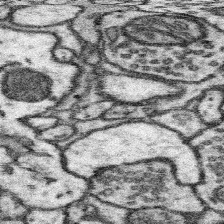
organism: Mouse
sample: Somatosensory cortex neuropil